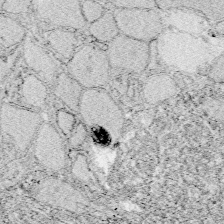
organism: Zebrafish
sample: Whole-Brain